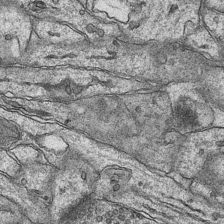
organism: Mouse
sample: CA1 Hippocampus